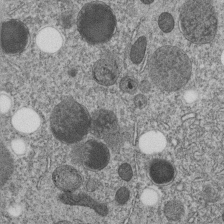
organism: C. elegans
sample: C. elegans embryo early stage